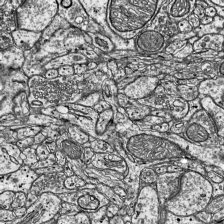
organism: Mouse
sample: Visual Cortex